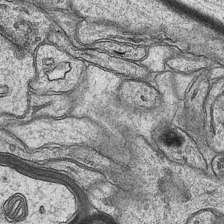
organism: Mouse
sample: CA1 Hippocampus